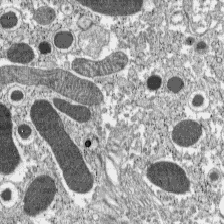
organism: C57BL Mouse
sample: Pancreatic islet